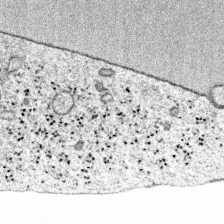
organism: Human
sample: HeLa cells